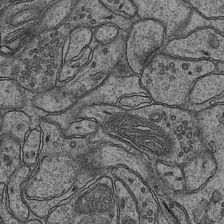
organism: Mouse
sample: CA1 Hippocampus